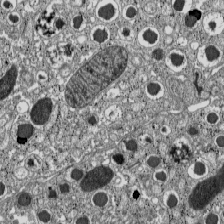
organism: C57BL Mouse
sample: Pancreatic islet